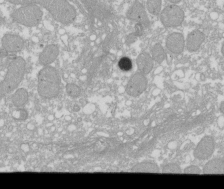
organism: Xenopus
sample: Cilia; centrioles in frog embryo cells